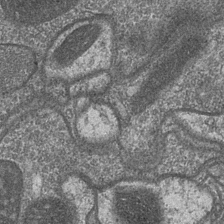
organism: Drosophila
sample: Optic medulla